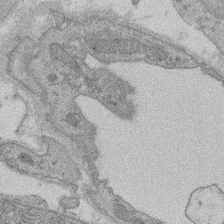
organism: Rat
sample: Salivary granule